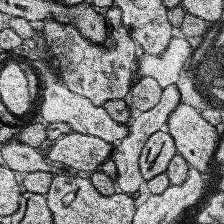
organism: Human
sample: Temporal Lobe